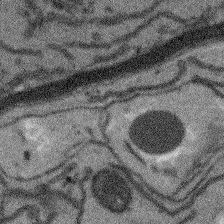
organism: Arabidopsis thaliana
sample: Root tip